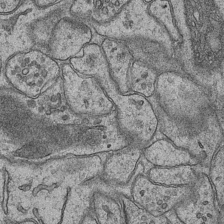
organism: Mouse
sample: CA1 Hippocampus